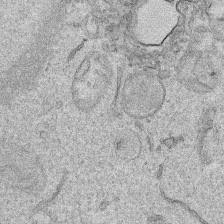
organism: Human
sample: Mitochondria in HCT116 cells